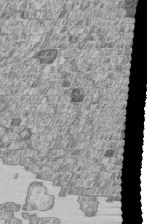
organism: Human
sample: MDA-MB-231 cells